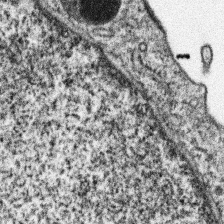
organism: Human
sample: HeLa cells